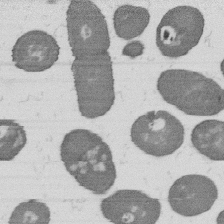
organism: B. subtilis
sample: Bacterial spore